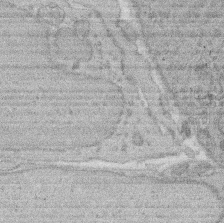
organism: Rat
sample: Salivary granule